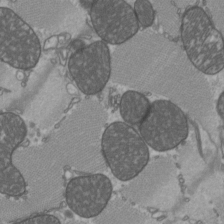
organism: C57BL Mouse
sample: Heart